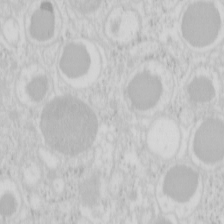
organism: Mouse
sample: Pancreas